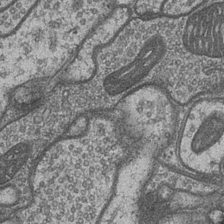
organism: Drosophila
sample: Optic medulla